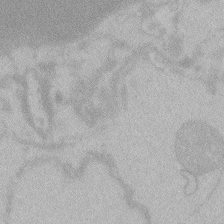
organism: Zebrafish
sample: Macrophage infected with Toxoplasma gondii